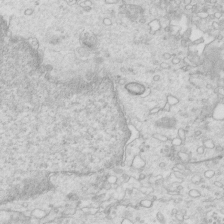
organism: Mouse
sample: Multiciliated cells